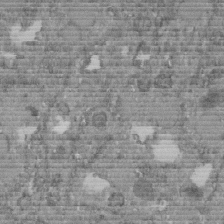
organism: C. elegans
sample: C. elegans embryo early stage